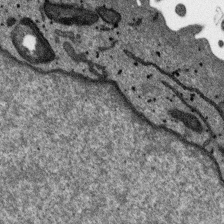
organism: Human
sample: Lung epithelial cells, uninfected (mock) control